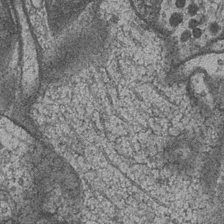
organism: Drosophila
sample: Optic medulla